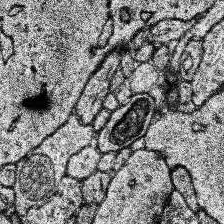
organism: Human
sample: Temporal Lobe